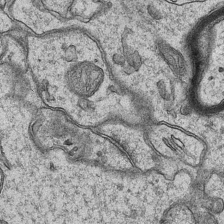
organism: Mouse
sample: CA1 Hippocampus